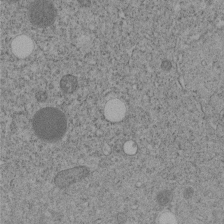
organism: C. elegans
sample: C. elegans embryo early stage